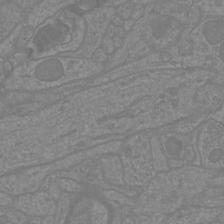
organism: Mouse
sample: Cortical neurons